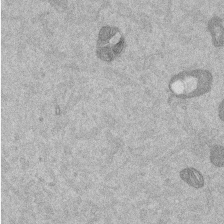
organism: Mouse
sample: Dividing mouse embryo 1 cell stage